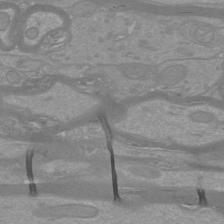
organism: Mouse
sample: Cortical neurons